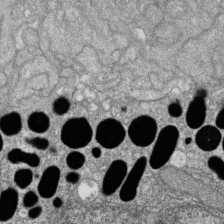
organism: Zebrafish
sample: Cilia; retinal pigment epithelium